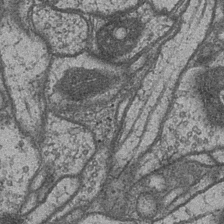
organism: Drosophila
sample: Optic medulla